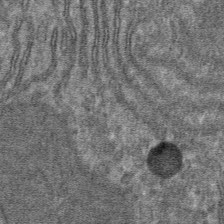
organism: Mouse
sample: Mouse hepatocytes